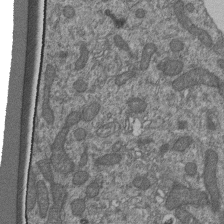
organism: Human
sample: Retinal organoid Rod and Cone cells